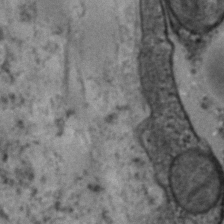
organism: Human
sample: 1205lu cells